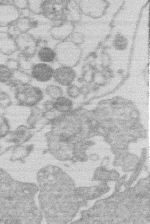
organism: Human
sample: Macrophage cells